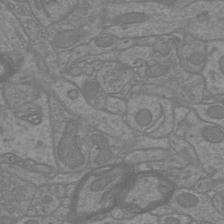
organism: Mouse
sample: Cortical neurons